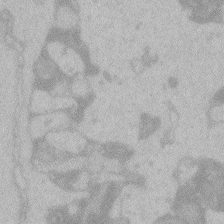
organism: Zebrafish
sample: Macrophage infected with Toxoplasma gondii